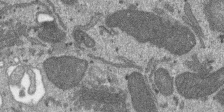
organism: Human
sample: Lung epithelial cells infected with SARS-CoV-2